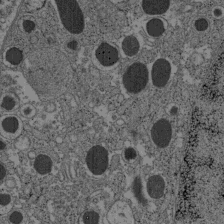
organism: C57BL Mouse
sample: Pancreatic islet